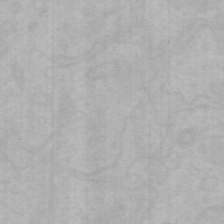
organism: Mouse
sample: Choroid plexus